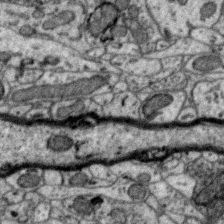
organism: Zebra finch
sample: Brain